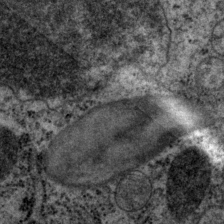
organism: P. pacificus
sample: Pharynx